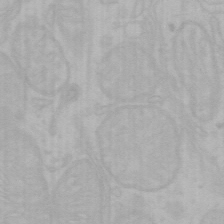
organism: Mouse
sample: Choroid plexus